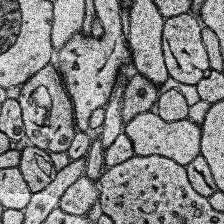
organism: Human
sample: Temporal Lobe